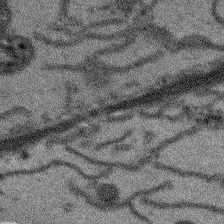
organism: Arabidopsis thaliana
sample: Root tip